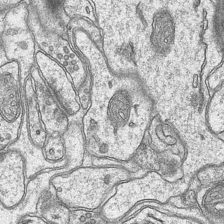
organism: Mouse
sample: CA1 Hippocampus